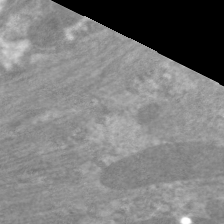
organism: C. elegans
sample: Pharynx